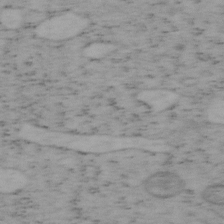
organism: Mouse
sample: OT-I killer T cells with ID8 ovarian cancer cells